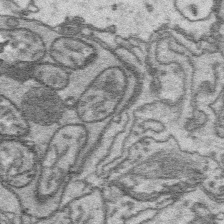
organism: Platynereis dumerilii